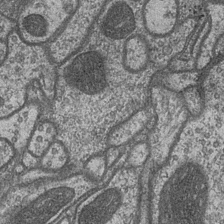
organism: Drosophila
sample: Optic medulla